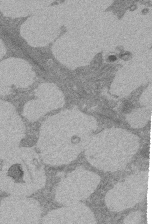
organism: Rat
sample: Salivary granule